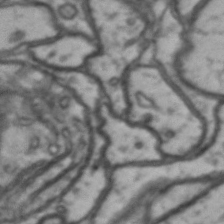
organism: Drosophila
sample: Brain